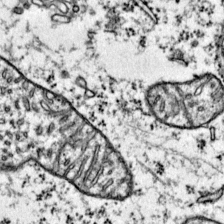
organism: Mouse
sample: Primary visual cortex